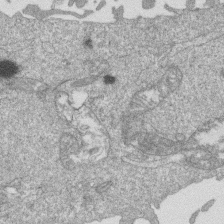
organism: Human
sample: HeLa cell HIV synapse